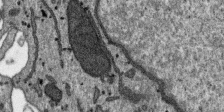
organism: Human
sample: Lung epithelial cells, uninfected (mock) control